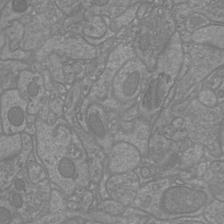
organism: Mouse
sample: Cortical neurons